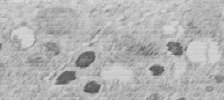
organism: C. elegans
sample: C. elegans embryo early stage